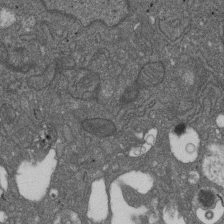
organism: Drosophila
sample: Nephrocyte